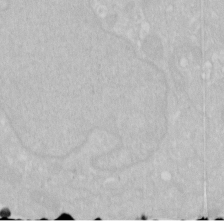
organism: Human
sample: HIV infected U937 cells